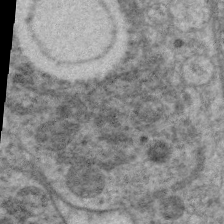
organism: C. elegans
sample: Pharynx